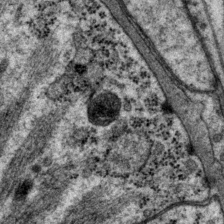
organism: P. pacificus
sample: Pharynx